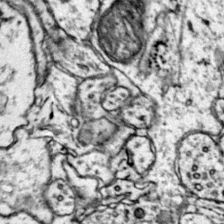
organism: Mouse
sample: Primary visual cortex